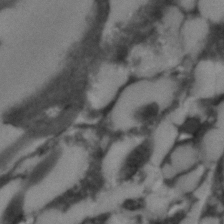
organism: C. elegans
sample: C. elegans embryo